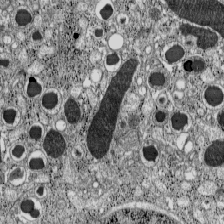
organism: C57BL Mouse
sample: Pancreatic islet